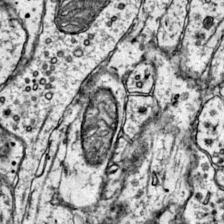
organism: Mouse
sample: Primary visual cortex